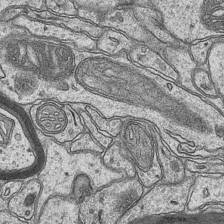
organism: Mouse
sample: CA1 Hippocampus